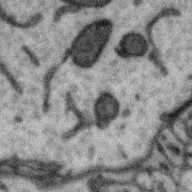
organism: Zebra finch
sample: Brain